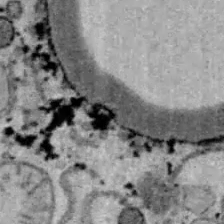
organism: Mouse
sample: Liver from an obese (ob/ob) mouse